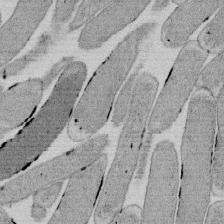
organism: E. coli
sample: Bacterial nucleoid